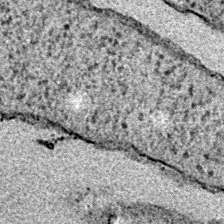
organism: E. coli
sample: E. Coli Bacteria